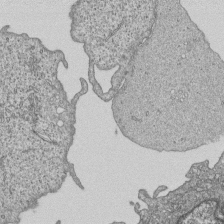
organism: Human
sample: MDA-MB-231 cells